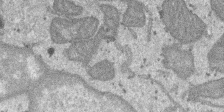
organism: Human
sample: Lung epithelial cells infected with SARS-CoV-2